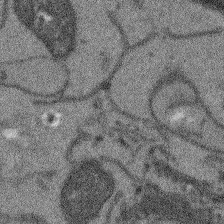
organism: Arabidopsis thaliana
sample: Root tip